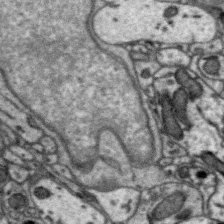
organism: Zebra finch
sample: Brain